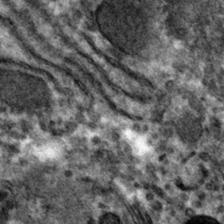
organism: Mouse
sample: Mouse hepatocytes